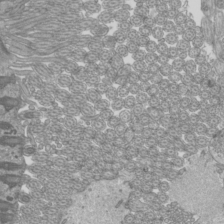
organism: Mouse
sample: Cilia; mouse epididymis